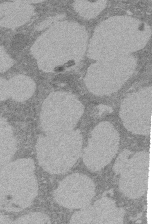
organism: Rat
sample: Salivary granule